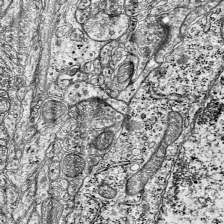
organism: Mouse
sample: Visual Cortex